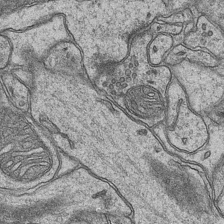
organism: Mouse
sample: CA1 Hippocampus